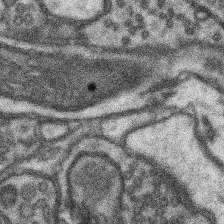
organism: Mouse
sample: Somatosensory cortex neuropil